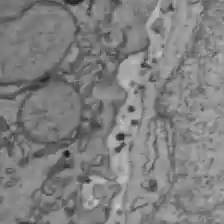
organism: C57BL Mouse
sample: Liver